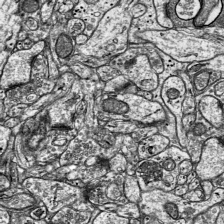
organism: Mouse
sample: Visual Cortex